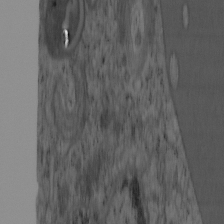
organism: Human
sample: HeLa cells